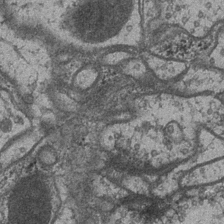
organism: Drosophila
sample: Optic medulla